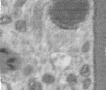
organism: Human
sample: Centriole in RPE cells